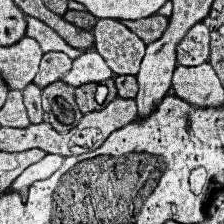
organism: Human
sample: Temporal Lobe